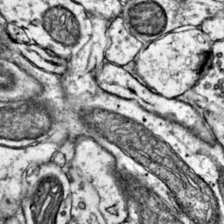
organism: Mouse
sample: Primary visual cortex